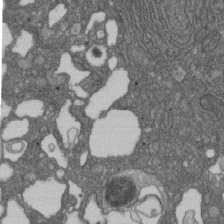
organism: Drosophila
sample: Nephrocyte